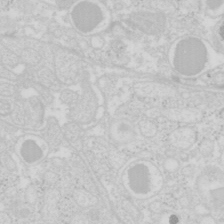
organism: Mouse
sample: Pancreas